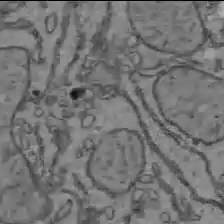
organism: C57BL Mouse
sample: Liver